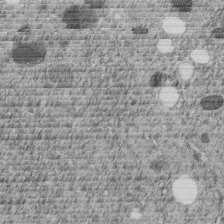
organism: C. elegans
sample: C. elegans embryo early stage